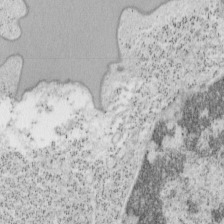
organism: Mouse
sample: OT-I killer T cells with ID8 ovarian cancer cells